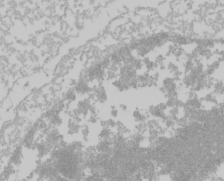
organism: Mouse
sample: Cancer cell death in ED-1 cells